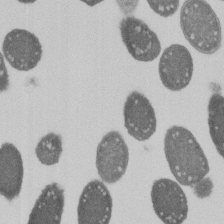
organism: E. coli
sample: Bacterial nucleoid